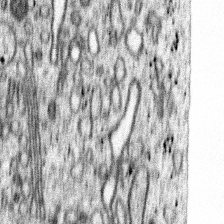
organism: Human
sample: HeLa cells